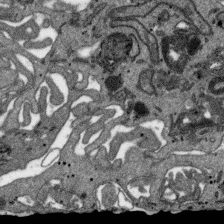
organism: Human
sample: Lung epithelial cells, uninfected (mock) control